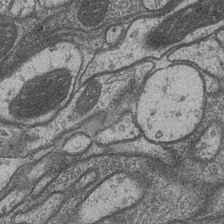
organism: Drosophila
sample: Optic medulla